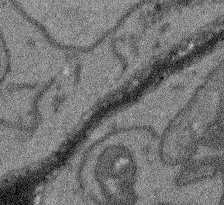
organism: Arabidopsis thaliana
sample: Root tip